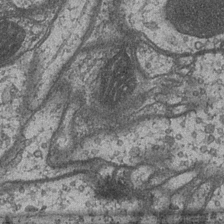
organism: Drosophila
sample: Optic medulla